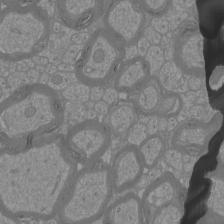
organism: Mouse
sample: Cortical neurons